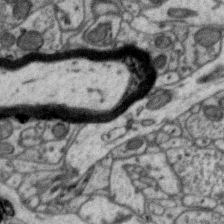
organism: Zebra finch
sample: Brain